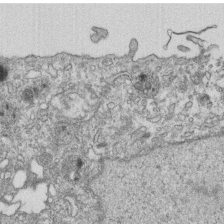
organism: Human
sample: HeLa cell HIV synapse